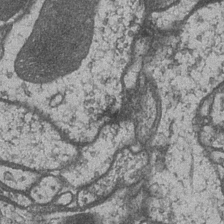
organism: Drosophila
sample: Optic medulla